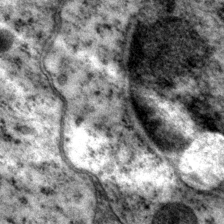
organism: P. pacificus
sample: Pharynx